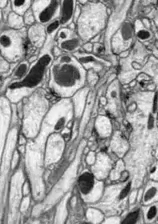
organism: Drosophila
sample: Optic lobe